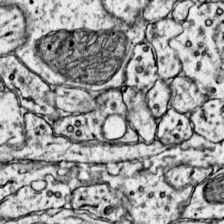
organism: Mouse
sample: Primary visual cortex